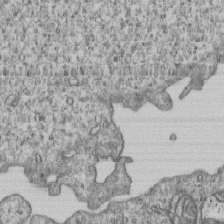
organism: Human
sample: MDA-MB-231 cells